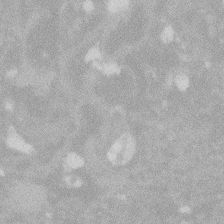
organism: Zebrafish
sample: Macrophage